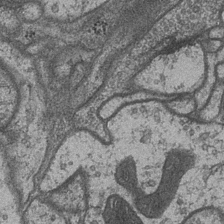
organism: Drosophila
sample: Optic medulla